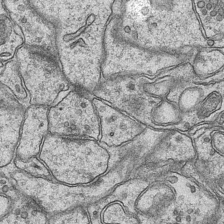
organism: Mouse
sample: CA1 Hippocampus